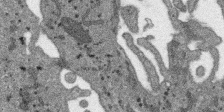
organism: Human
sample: Lung epithelial cells infected with SARS-CoV-2